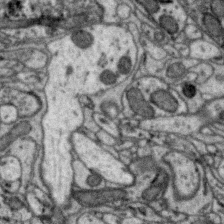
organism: Zebra finch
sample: Brain